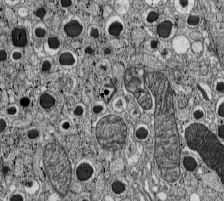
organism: C57BL Mouse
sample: Pancreatic islet